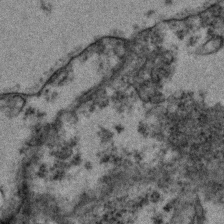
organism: Zebrafish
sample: Zebrafish embryo